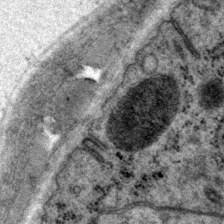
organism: P. pacificus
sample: Pharynx